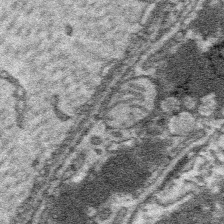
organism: Platynereis dumerilii